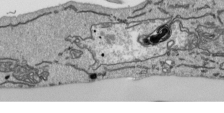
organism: Human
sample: Mitochondria in HCT116 cells